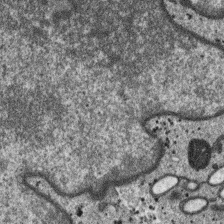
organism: Human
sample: Lung epithelial cells infected with SARS-CoV-2